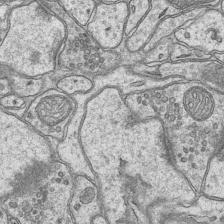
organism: Mouse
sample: CA1 Hippocampus